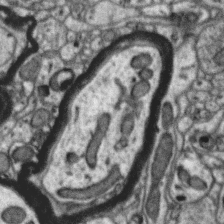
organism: Zebra finch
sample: Brain